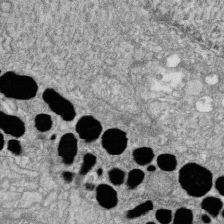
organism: Zebrafish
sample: Cilia; retinal pigment epithelium